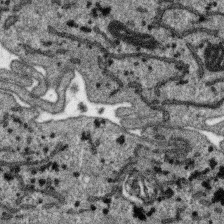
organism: Human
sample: Lung epithelial cells infected with SARS-CoV-2